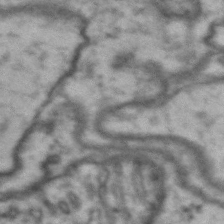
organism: Drosophila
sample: Brain